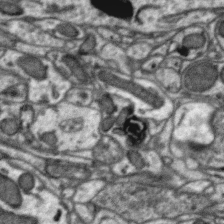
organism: Zebra finch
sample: Brain